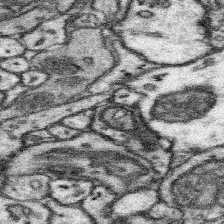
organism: Mouse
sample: Somatosensory cortex neuropil